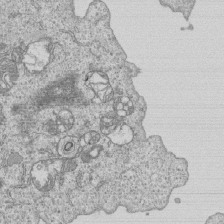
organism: Human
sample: MDA-MB-231 cells